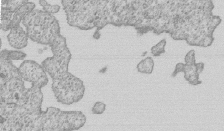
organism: Human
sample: MDA-MB-231 cells